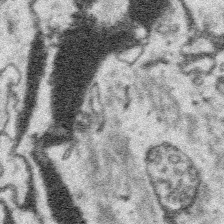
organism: Platynereis dumerilii